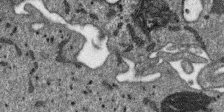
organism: Human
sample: Lung epithelial cells infected with SARS-CoV-2